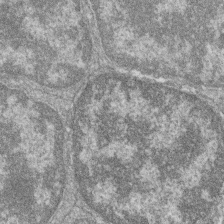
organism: Zebrafish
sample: Cilia; retinal pigment epithelium